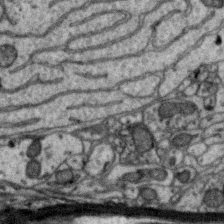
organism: Zebra finch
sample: Brain